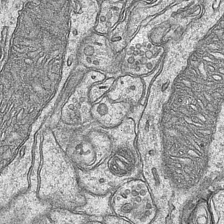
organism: Mouse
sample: CA1 Hippocampus